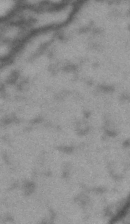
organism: Drosophila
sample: Brain